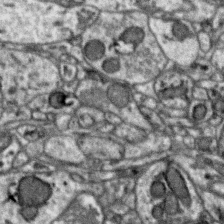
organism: Zebra finch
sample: Brain